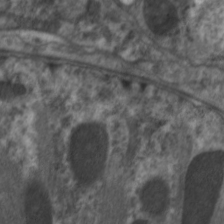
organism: C. elegans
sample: Pharynx